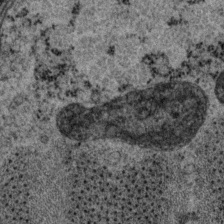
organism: P. pacificus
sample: Pharynx